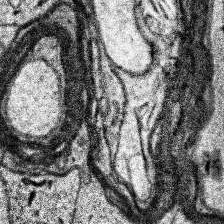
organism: Human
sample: Temporal Lobe